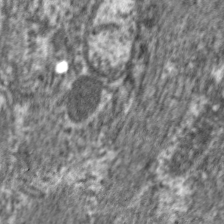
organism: C. elegans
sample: Pharynx